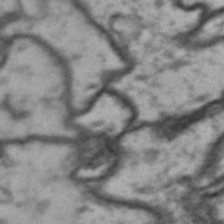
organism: Drosophila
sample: Brain